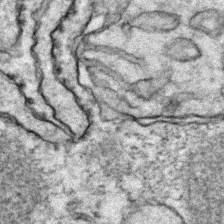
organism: Zebrafish